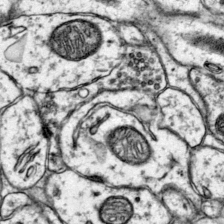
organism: Mouse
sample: Primary visual cortex